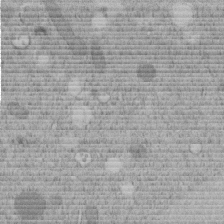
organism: C. elegans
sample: C. elegans embryo early stage